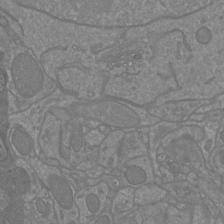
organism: Mouse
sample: Cortical neurons